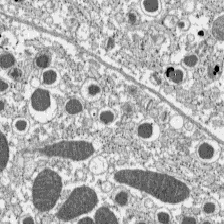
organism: C57BL Mouse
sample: Pancreatic islet